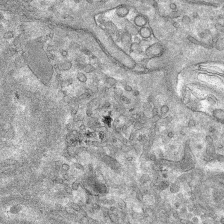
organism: Mouse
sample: Mouse hepatocytes